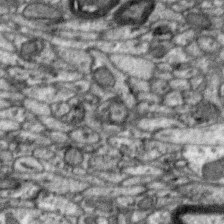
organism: Zebra finch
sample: Brain